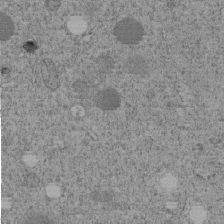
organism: C. elegans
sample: C. elegans embryo early stage